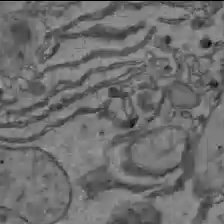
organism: C57BL Mouse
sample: Liver